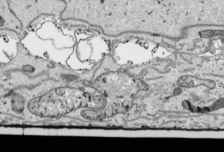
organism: Human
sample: Mitochondria in HCT116 cells